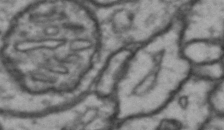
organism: Drosophila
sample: Brain